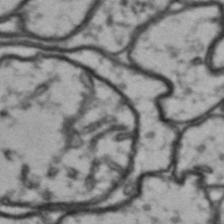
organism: Drosophila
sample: Brain